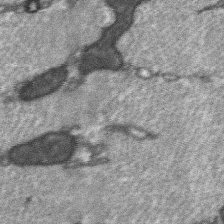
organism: C57BL Mouse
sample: Soleus